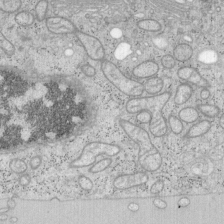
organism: Mouse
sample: OT-I killer T cells with ID8 ovarian cancer cells